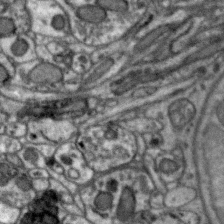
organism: Zebra finch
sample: Brain